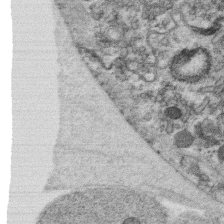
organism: C. elegans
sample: C. elegans oocyte; sperm cells